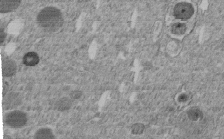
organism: C. elegans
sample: C. elegans embryo early stage